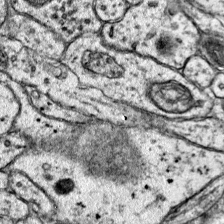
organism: Mouse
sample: Primary visual cortex